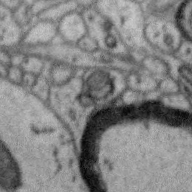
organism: Zebra finch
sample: Brain